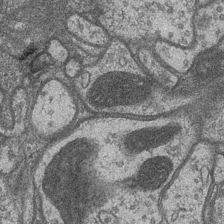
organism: Drosophila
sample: Optic medulla